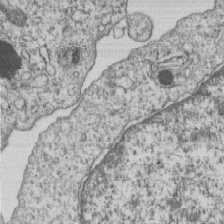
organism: Human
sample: MDA-MB-231 cells